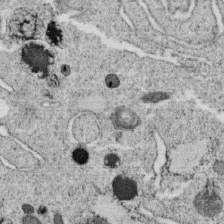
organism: C. elegans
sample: C. elegans oocyte; sperm cells